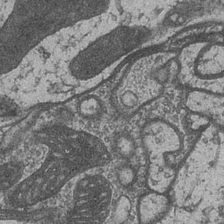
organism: Drosophila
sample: Optic medulla